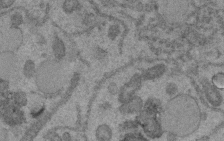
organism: C. elegans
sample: C. elegans embryo early stage